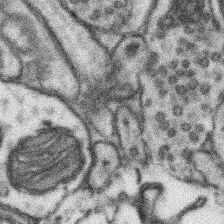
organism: Mouse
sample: Somatosensory cortex neuropil